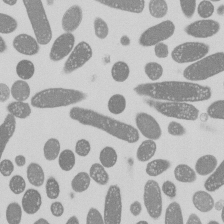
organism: E. coli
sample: Bacterial nucleoid